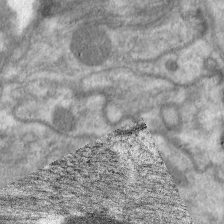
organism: C. elegans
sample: Pharynx